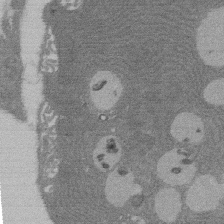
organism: Rat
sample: Salivary granule